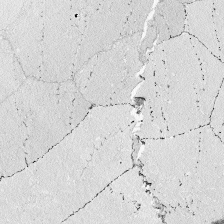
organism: Zebrafish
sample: Whole-Brain